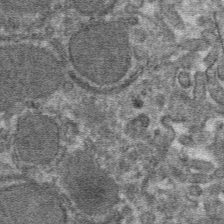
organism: Mouse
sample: Mouse hepatocytes